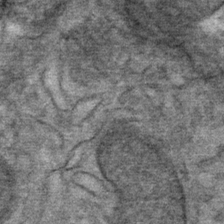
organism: Mouse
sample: Mouse Salivary gland